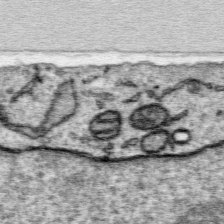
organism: Human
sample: HeLa cells